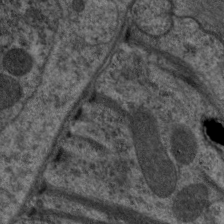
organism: C. elegans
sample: Pharynx